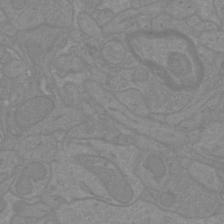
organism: Mouse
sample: Cortical neurons